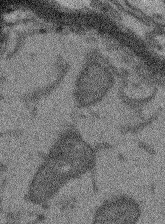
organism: Arabidopsis thaliana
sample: Root tip